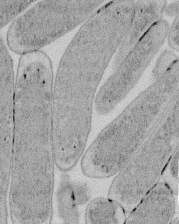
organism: E. coli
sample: Bacterial nucleoid